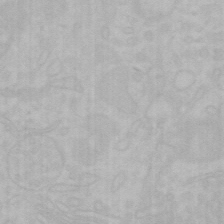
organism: Mouse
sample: Choroid plexus